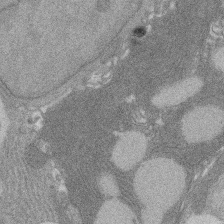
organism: Rat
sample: Salivary granule